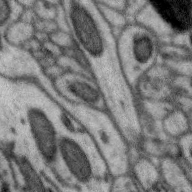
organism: Zebra finch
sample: Brain